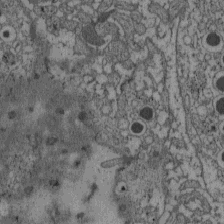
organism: C57BL Mouse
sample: Pancreatic islet